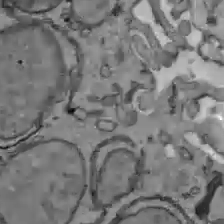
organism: C57BL Mouse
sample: Liver